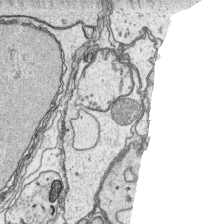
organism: Platynereis dumerilii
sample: Parapodia